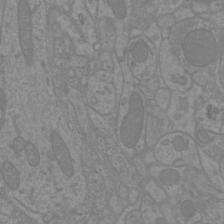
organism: Mouse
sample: Cortical neurons